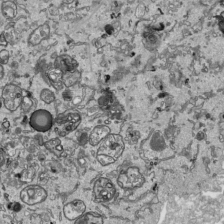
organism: Human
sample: Mitochondria in HCT116 cells